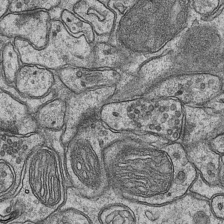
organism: Mouse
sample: CA1 Hippocampus